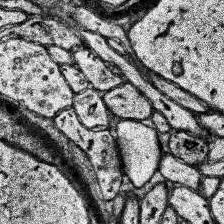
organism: Human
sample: Temporal Lobe